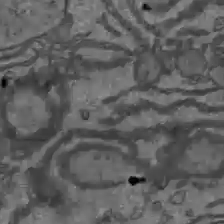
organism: C57BL Mouse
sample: Liver